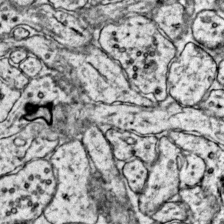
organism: Mouse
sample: Primary visual cortex